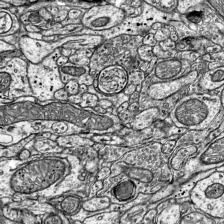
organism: Mouse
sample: Visual Cortex